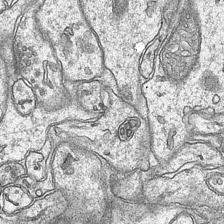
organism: Mouse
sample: CA1 Hippocampus